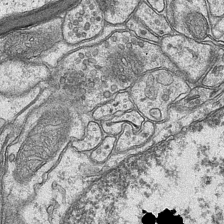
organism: Mouse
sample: CA1 Hippocampus